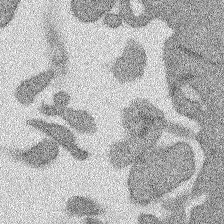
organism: Human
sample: HeLa cells